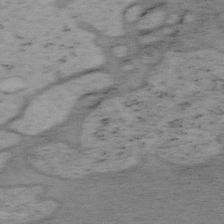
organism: Mouse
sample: OT-I killer T cells with ID8 ovarian cancer cells